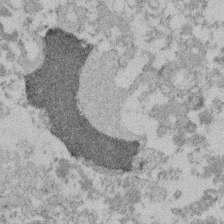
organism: Mouse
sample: Dividing mouse embryo 1 cell stage